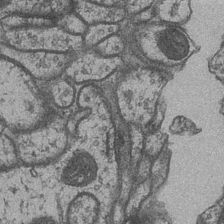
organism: Drosophila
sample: Optic medulla